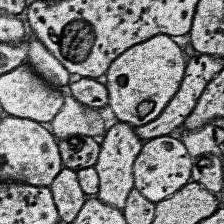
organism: Human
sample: Temporal Lobe